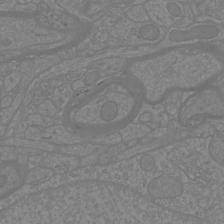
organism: Mouse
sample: Cortical neurons